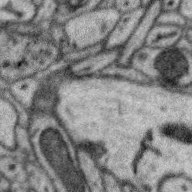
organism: Zebra finch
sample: Brain